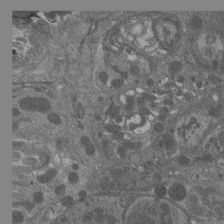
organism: Drosophila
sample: Antenna